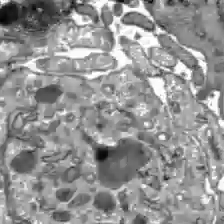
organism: C57BL Mouse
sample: Liver